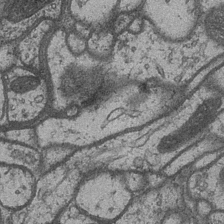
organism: Drosophila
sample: Optic medulla